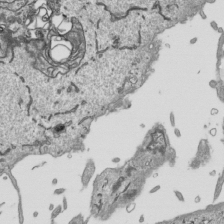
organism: Human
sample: Mitochondria in HCT116 cells